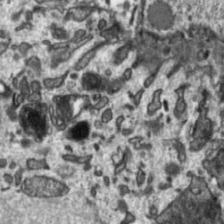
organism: Toxoplasma gondii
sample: Parasites in a vacuole inside a host cell